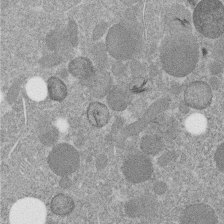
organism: C. elegans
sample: C. elegans embryo early stage